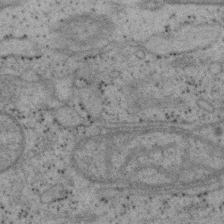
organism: Human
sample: HeLa cells